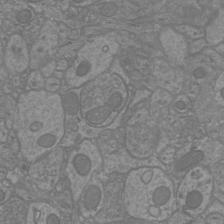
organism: Mouse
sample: Cortical neurons